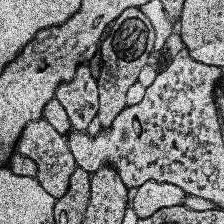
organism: Human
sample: Temporal Lobe